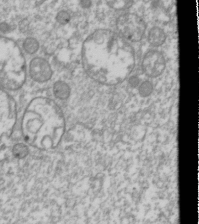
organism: Drosophila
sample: Cell division; meiosis; drosophila spermatocytes